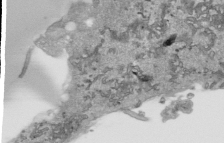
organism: Human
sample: Mitochondria in HCT116 cells